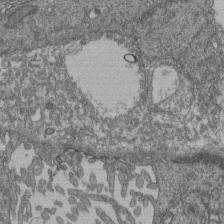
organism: Human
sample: Retinal organoid Rod and Cone cells